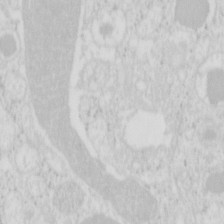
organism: Mouse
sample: Pancreas